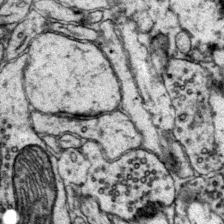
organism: Mouse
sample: Primary visual cortex